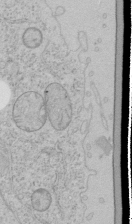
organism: Human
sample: Mitochondria in HCT116 cells